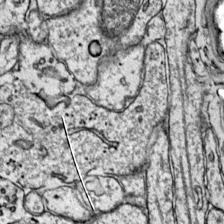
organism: Mouse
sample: Primary visual cortex